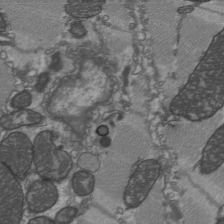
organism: C57BL Mouse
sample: Heart